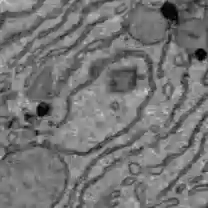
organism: C57BL Mouse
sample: Liver